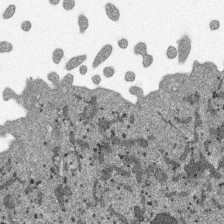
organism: Human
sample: Lung epithelial cells infected with SARS-CoV-2